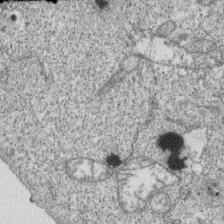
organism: Human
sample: HeLa cell HIV synapse